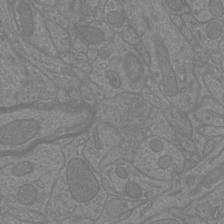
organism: Mouse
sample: Cortical neurons